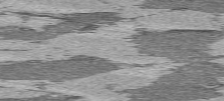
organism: C57BL Mouse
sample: Heart